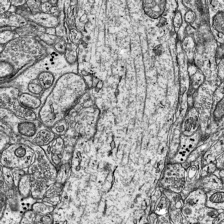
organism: Mouse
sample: Visual Cortex